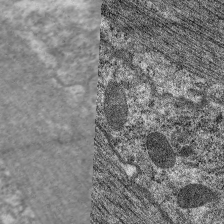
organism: C. elegans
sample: Pharynx